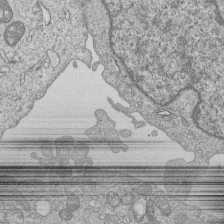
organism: Human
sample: MDA-MB-231 cells